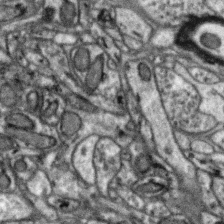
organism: Zebra finch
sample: Brain